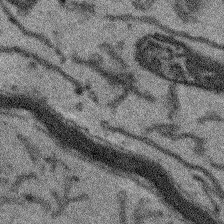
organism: Arabidopsis thaliana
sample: Root tip